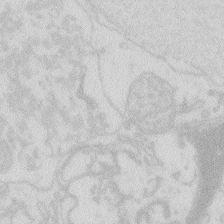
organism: Zebrafish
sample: Macrophage